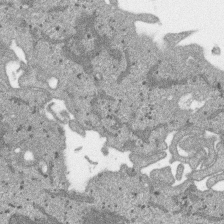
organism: Human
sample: Lung epithelial cells infected with SARS-CoV-2